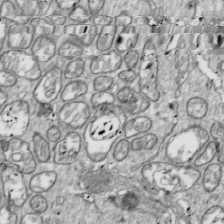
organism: Drosophila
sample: Cell division; meiosis; drosophila spermatocytes